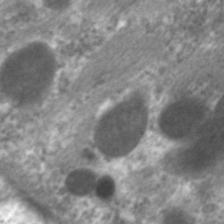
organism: C. elegans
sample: Pharynx